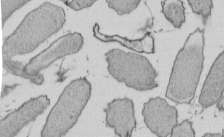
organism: E. coli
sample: Bacterial nucleoid